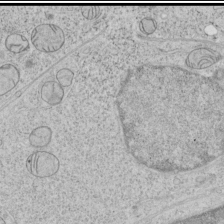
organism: Human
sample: Mitochondria in HCT116 cells